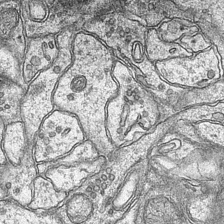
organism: Mouse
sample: CA1 Hippocampus